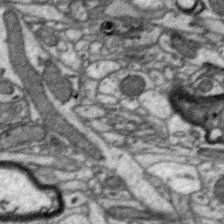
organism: Zebra finch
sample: Brain